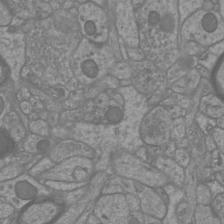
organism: Mouse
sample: Cortical neurons